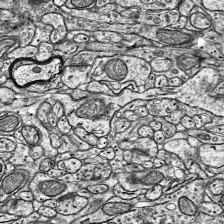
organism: Mouse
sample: Visual Cortex